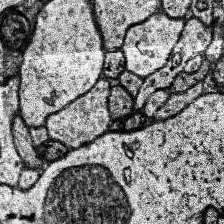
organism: Human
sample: Temporal Lobe